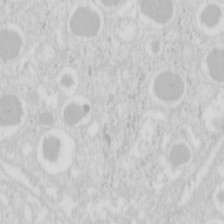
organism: Mouse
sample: Pancreas